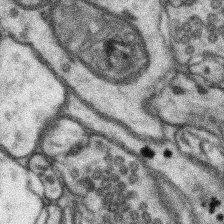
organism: Mouse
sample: Somatosensory cortex neuropil